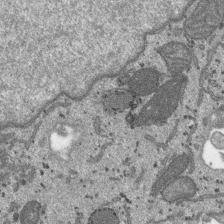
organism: Human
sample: Lung epithelial cells infected with SARS-CoV-2